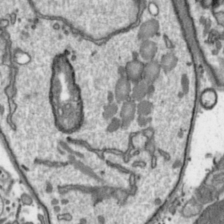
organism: Toxoplasma gondii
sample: Parasites in a vacuole inside a host cell